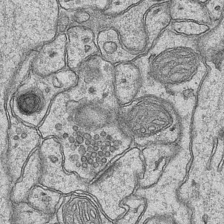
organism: Mouse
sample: CA1 Hippocampus